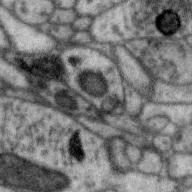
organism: Zebra finch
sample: Brain